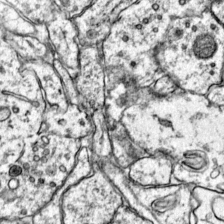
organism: Mouse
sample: Primary visual cortex